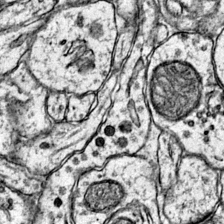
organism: Mouse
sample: Primary visual cortex